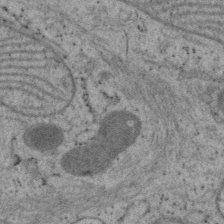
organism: Human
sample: HeLa cells